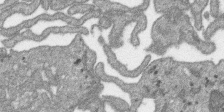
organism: Human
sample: Lung epithelial cells infected with SARS-CoV-2